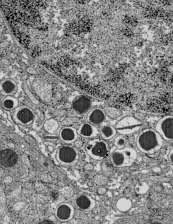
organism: C57BL Mouse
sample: Pancreatic islet